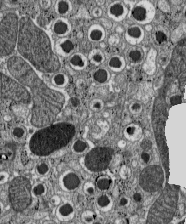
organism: C57BL Mouse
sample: Pancreatic islet